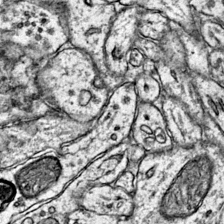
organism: Mouse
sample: Primary visual cortex